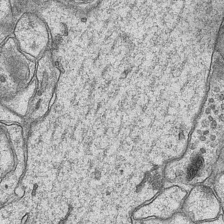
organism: Mouse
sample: CA1 Hippocampus